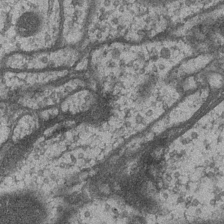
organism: Drosophila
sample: Optic medulla